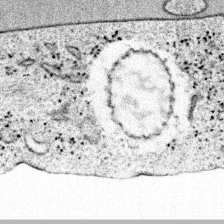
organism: Human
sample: HeLa cells